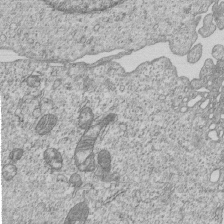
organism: Human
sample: MDA-MB-231 cells